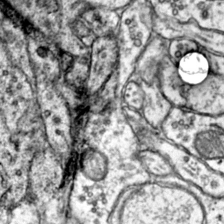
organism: Mouse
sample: Primary visual cortex